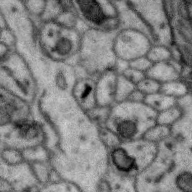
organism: Zebra finch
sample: Brain